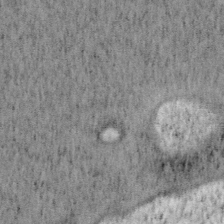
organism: Mouse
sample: OT-I killer T cells with ID8 ovarian cancer cells